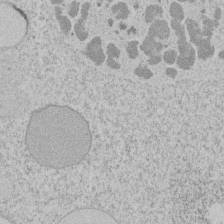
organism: Tetrahymena